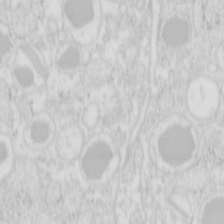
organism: Mouse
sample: Pancreas